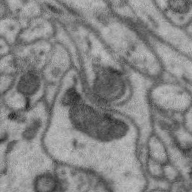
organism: Zebra finch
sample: Brain